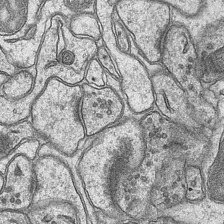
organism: Mouse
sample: CA1 Hippocampus